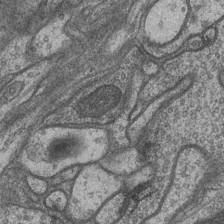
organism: Drosophila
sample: Optic medulla